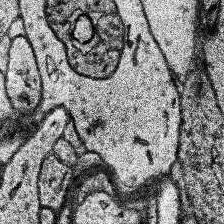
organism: Human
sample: Temporal Lobe